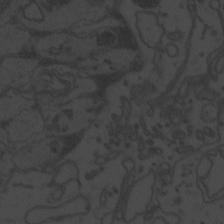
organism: Zebrafish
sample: Macrophage infected with Toxoplasma gondii